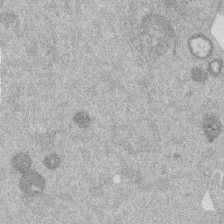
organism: Mouse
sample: Dividing mouse embryo 1 cell stage